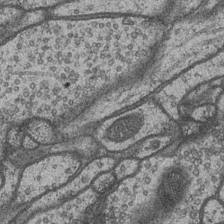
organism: Drosophila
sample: Optic medulla